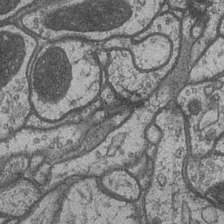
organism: Drosophila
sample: Optic medulla